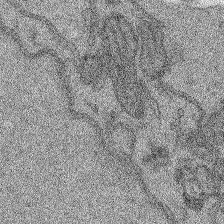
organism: Human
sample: HeLa cells